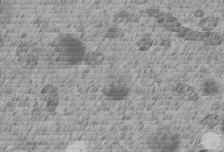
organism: C. elegans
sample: C. elegans embryo early stage